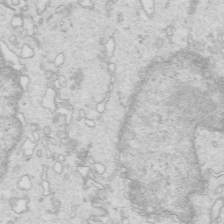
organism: Mouse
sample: Multiciliated cells